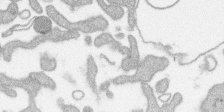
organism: Human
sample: Lung epithelial cells infected with SARS-CoV-2